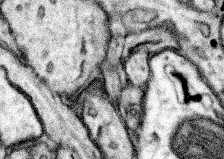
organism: Mouse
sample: Somatosensory cortex neuropil